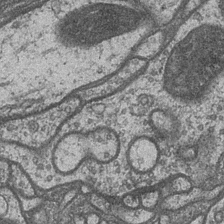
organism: Drosophila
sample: Optic medulla